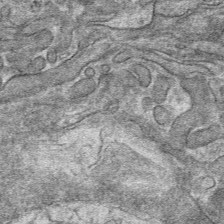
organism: Mouse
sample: Mouse hepatocytes